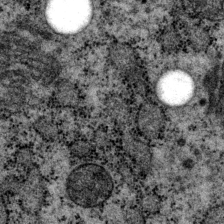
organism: P. pacificus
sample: Pharynx